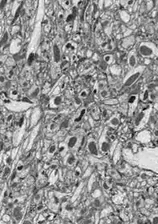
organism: Drosophila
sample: Optic lobe